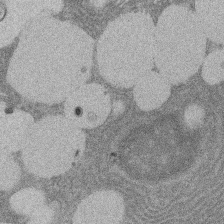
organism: Rat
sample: Salivary granule